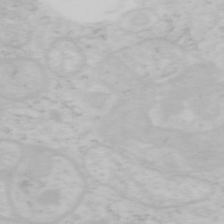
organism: Mouse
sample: OT-I killer T cells with ID8 ovarian cancer cells